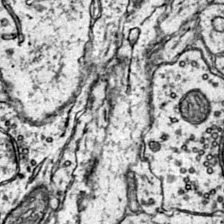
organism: Mouse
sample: Primary visual cortex